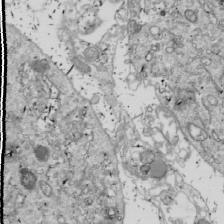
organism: Drosophila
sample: Cell division; meiosis; drosophila spermatocytes